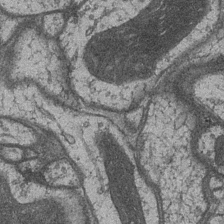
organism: Drosophila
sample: Optic medulla